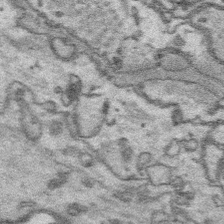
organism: Platynereis dumerilii